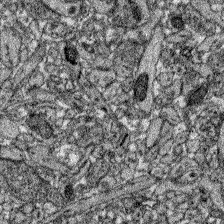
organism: Zebrafish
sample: Larval olfactory bulb